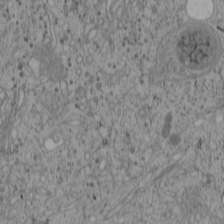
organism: African green monkey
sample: COS-7 cells